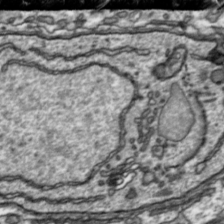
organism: Toxoplasma gondii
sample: Parasites in a vacuole inside a host cell